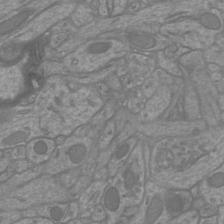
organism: Mouse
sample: Cortical neurons